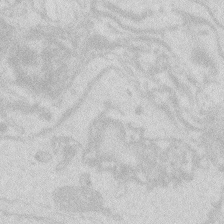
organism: Zebrafish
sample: Macrophage